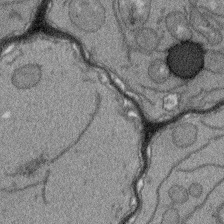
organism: Arabidopsis thaliana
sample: Root tip